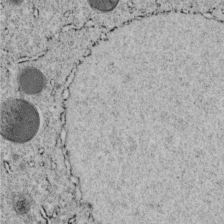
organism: C. elegans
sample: C. elegans embryo early stage